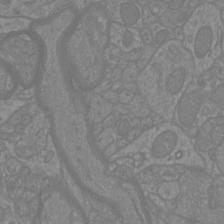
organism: Mouse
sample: Cortical neurons